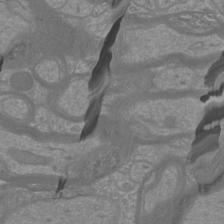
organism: Mouse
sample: Cortical neurons